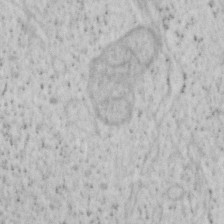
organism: Human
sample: HeLa cells